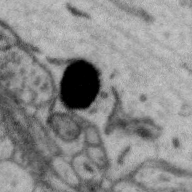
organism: Zebra finch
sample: Brain